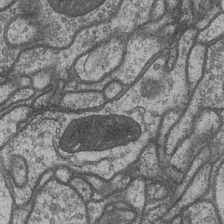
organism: Drosophila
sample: Optic medulla